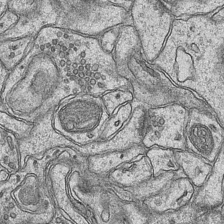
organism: Mouse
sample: CA1 Hippocampus